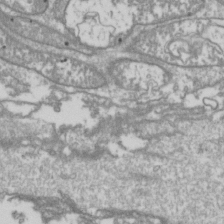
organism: Drosophila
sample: Cell division; meiosis; drosophila spermatocytes